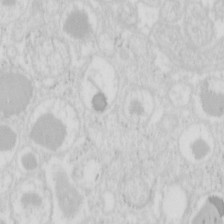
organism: Mouse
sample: Pancreas